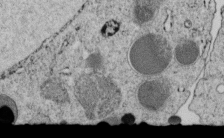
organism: C. elegans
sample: C. elegans embryo early stage